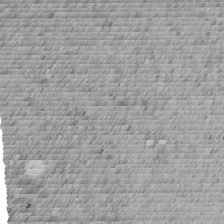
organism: C. elegans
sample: C. elegans embryo early stage